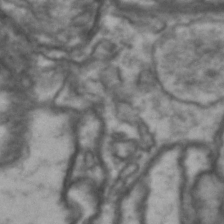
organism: Drosophila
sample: Brain